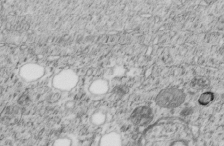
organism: C. elegans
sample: C. elegans embryo early stage